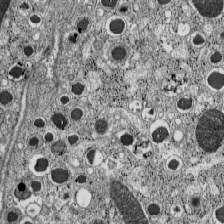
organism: C57BL Mouse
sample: Pancreatic islet